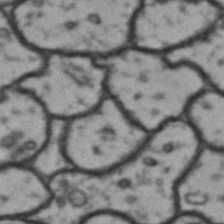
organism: Drosophila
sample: Brain